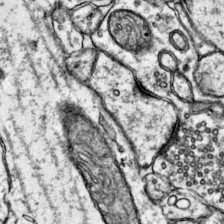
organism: Mouse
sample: Primary visual cortex